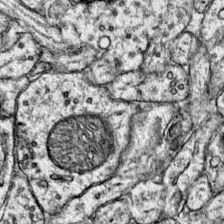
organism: Mouse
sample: Primary visual cortex